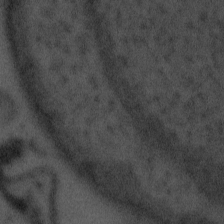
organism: Tuwongella immobilis